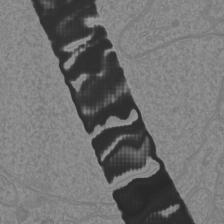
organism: Mouse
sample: Cortical neurons